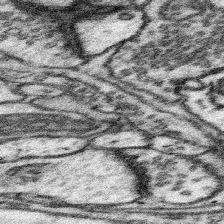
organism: Mouse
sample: Somatosensory cortex neuropil